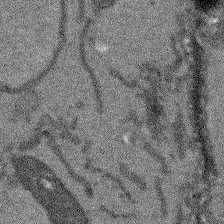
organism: Arabidopsis thaliana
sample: Root tip